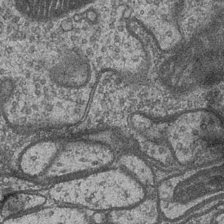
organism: Drosophila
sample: Optic medulla